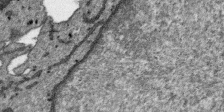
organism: Human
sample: Lung epithelial cells, uninfected (mock) control